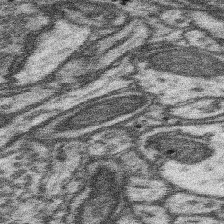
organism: Mouse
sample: Somatosensory cortex neuropil